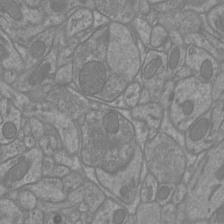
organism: Mouse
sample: Cortical neurons